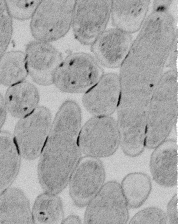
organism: E. coli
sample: Bacterial nucleoid